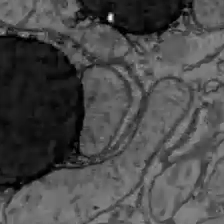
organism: C57BL Mouse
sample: Liver